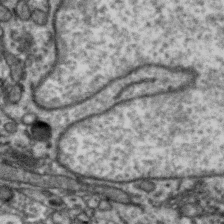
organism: Zebra finch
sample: Brain